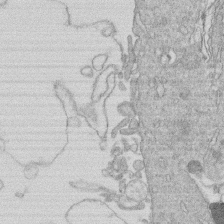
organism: Human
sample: Macrophage cells